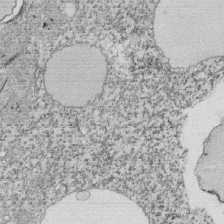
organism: Tetrahymena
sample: Cilia in tetrahymena